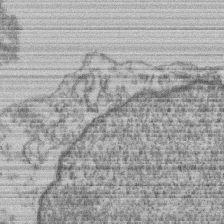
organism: Mouse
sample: T cell stromal cell synapse